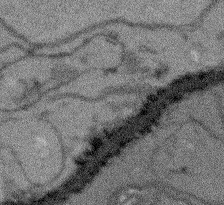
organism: Arabidopsis thaliana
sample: Root tip